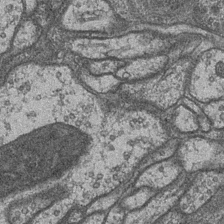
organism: Drosophila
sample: Optic medulla